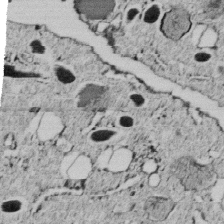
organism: C. elegans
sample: C. elegans embryo early stage